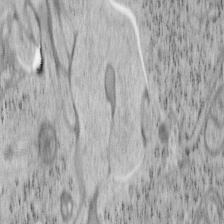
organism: Human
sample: HeLa cells